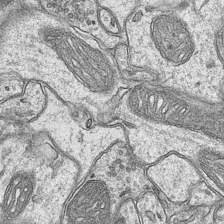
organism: Mouse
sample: CA1 Hippocampus